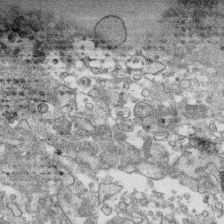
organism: Human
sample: CRL-1474